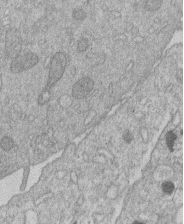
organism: Human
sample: Macrophage cells